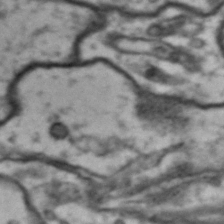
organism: Drosophila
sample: Brain